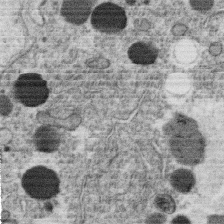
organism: C. elegans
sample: C. elegans oocyte; sperm cells